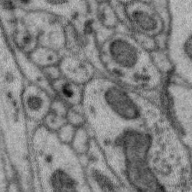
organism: Zebra finch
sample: Brain